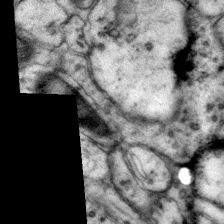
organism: Mouse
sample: Primary visual cortex